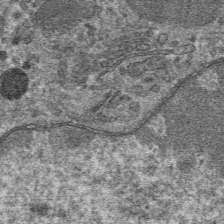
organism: Mouse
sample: Mouse hepatocytes